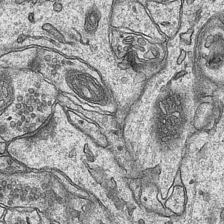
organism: Mouse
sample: CA1 Hippocampus